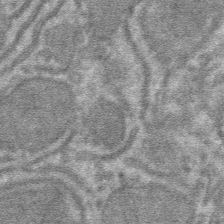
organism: Mouse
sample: Mouse hepatocytes